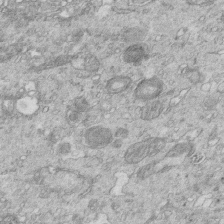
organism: Mouse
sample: Multiciliated cells